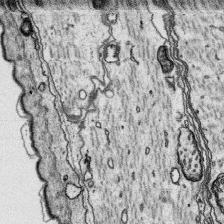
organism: Platynereis dumerilii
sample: Parapodia